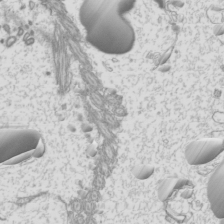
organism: Mouse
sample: Cilia; mouse epididymis